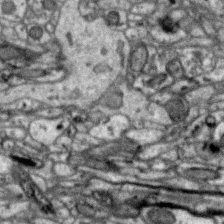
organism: Zebra finch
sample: Brain